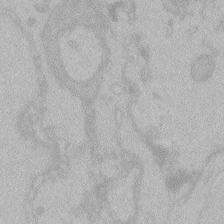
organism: Zebrafish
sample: Macrophage infected with Toxoplasma gondii